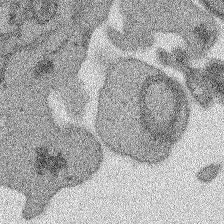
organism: Human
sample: HeLa cells